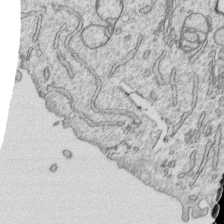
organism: Human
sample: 1205lu cells